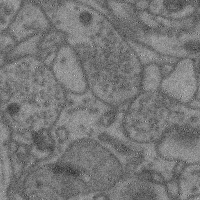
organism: Mouse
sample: Cerebral cortex